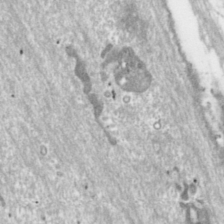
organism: Toxoplasma gondii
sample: Parasites in a vacuole inside a host cell